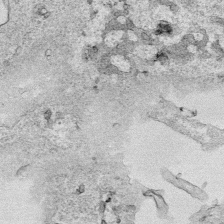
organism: Human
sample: Mitochondria in HCT116 cells